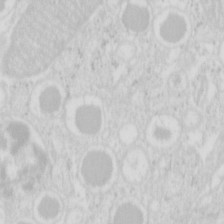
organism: Mouse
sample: Pancreas